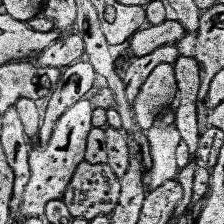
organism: Human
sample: Temporal Lobe